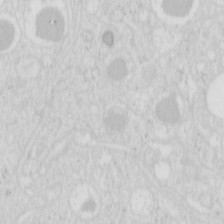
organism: Mouse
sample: Pancreas